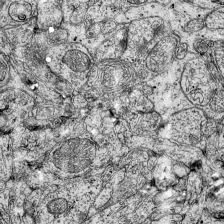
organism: Mouse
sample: Visual Cortex